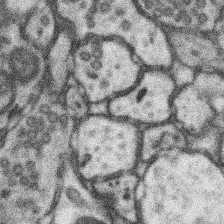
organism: Mouse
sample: Somatosensory cortex neuropil